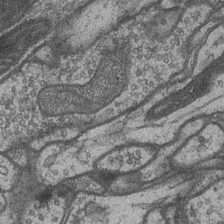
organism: Drosophila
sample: Optic medulla